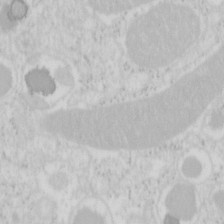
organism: Mouse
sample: Pancreas